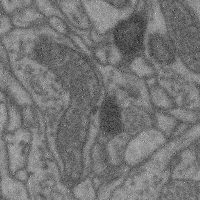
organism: Mouse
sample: Cerebral cortex